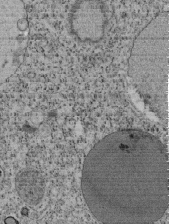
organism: Tetrahymena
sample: Cilia in tetrahymena